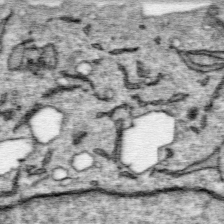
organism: Human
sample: HeLa cells